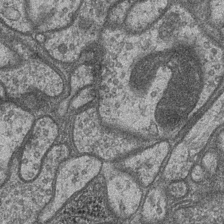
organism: Drosophila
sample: Optic medulla